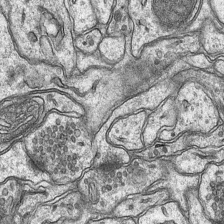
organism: Mouse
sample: CA1 Hippocampus